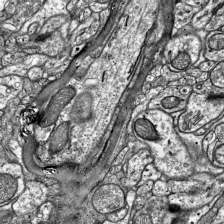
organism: Mouse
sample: Visual Cortex